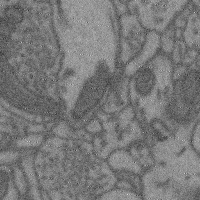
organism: Mouse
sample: Cerebral cortex